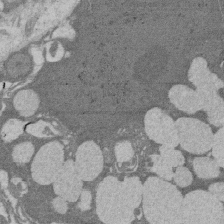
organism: Rat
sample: Salivary granule